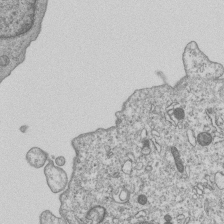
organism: Human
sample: MDA-MB-231 cells